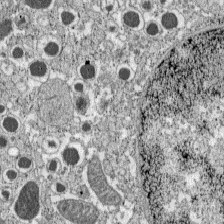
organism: C57BL Mouse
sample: Pancreatic islet